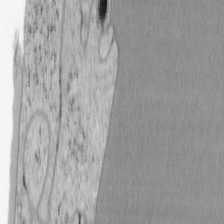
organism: Human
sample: HeLa cells